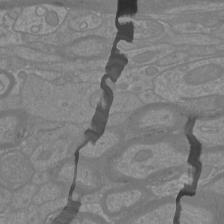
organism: Mouse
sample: Cortical neurons